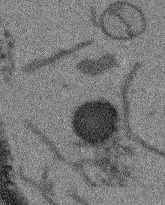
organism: Arabidopsis thaliana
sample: Root tip